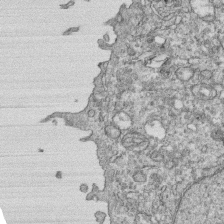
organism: Human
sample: HeLa cell HIV synapse